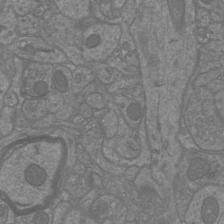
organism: Mouse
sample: Cortical neurons